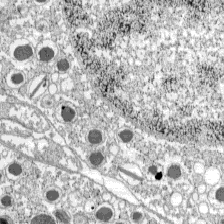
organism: C57BL Mouse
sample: Pancreatic islet